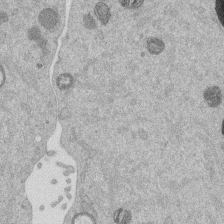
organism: Mouse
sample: Dividing mouse embryo 1 cell stage